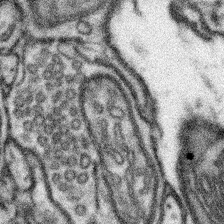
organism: Mouse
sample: Somatosensory cortex neuropil